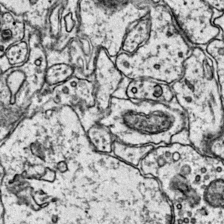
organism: Mouse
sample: Primary visual cortex